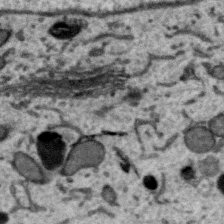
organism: Zebra finch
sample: Brain